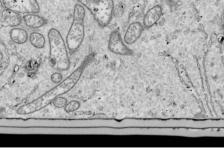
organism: Drosophila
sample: Cell division; meiosis; drosophila spermatocytes